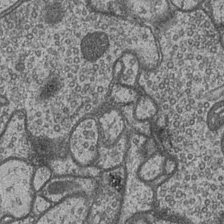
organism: Drosophila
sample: Optic medulla